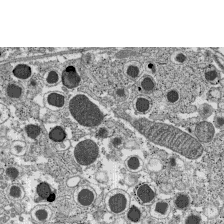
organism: C57BL Mouse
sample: Pancreatic islet